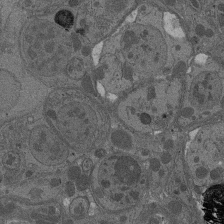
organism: Drosophila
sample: Antenna